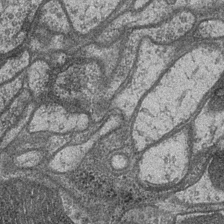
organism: Drosophila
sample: Optic medulla